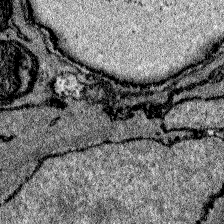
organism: Zebrafish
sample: Larval olfactory bulb